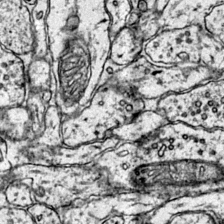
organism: Mouse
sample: Primary visual cortex